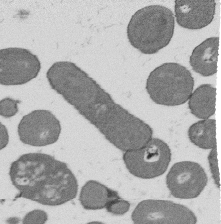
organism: B. subtilis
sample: Bacterial spore